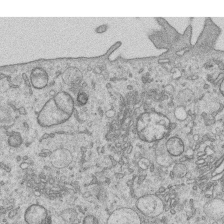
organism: Human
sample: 1205lu cells